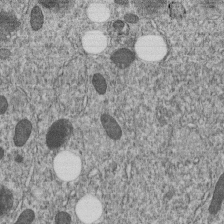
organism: C. elegans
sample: C. elegans embryo early stage